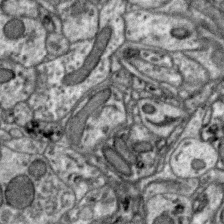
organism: Zebra finch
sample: Brain